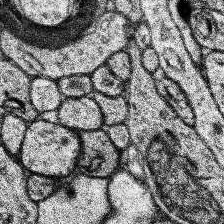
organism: Human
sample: Temporal Lobe